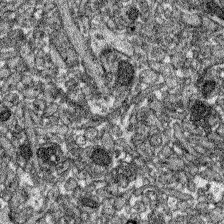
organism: Zebrafish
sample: Larval olfactory bulb